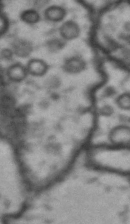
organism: Drosophila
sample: Brain